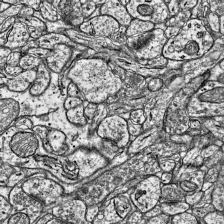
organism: Mouse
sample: Visual Cortex